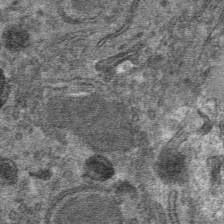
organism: Mouse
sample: Mouse hepatocytes